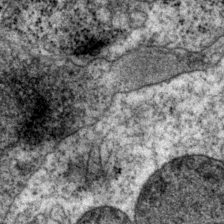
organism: P. pacificus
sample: Pharynx